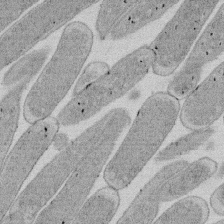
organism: E. coli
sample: Bacterial nucleoid